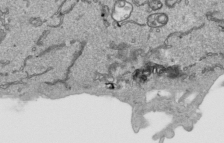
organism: Human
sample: Mitochondria in HCT116 cells